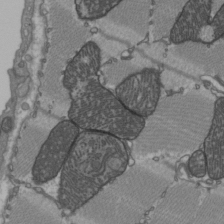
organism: C57BL Mouse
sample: Heart